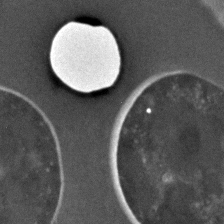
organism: C. elegans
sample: C. elegans embryo